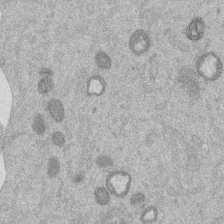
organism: Mouse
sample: Dividing mouse embryo 1 cell stage